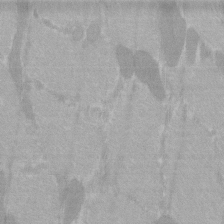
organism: C57BL Mouse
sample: Tibialis anterior muscle cell